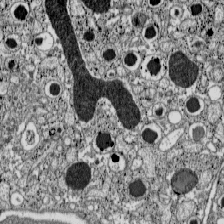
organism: C57BL Mouse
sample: Pancreatic islet